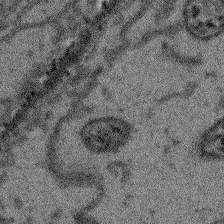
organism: Arabidopsis thaliana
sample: Root tip